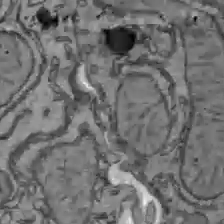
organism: C57BL Mouse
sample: Liver